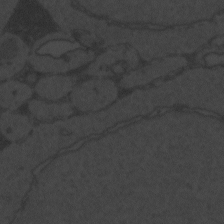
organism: Zebrafish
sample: Macrophage infected with Toxoplasma gondii